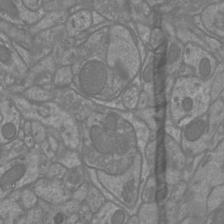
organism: Mouse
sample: Cortical neurons